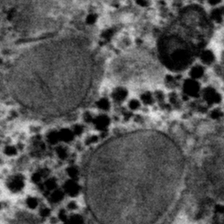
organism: Mouse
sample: Mouse hepatocytes